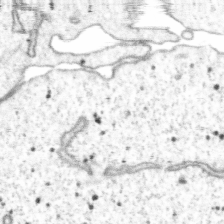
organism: Human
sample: HeLa cells